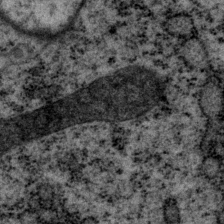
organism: P. pacificus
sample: Pharynx